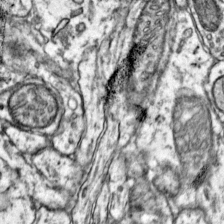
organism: Mouse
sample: Primary visual cortex